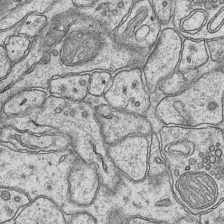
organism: Mouse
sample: CA1 Hippocampus